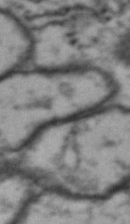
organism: Drosophila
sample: Brain